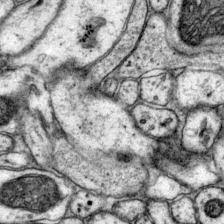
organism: Mouse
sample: Primary visual cortex